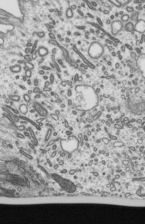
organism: Mouse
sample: Mouse epididymis efferent ductule cilia